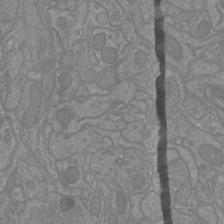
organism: Mouse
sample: Cortical neurons